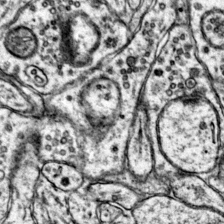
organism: Mouse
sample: Primary visual cortex